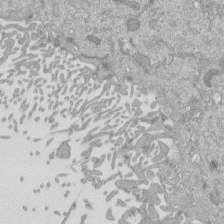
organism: Mouse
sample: ED-1 cell nuclei; centrioles